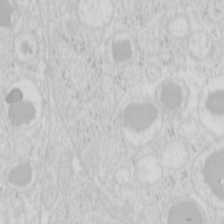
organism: Mouse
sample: Pancreas